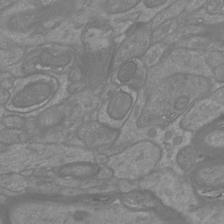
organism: Mouse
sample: Cortical neurons